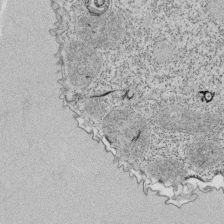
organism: Tetrahymena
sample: Cilia in tetrahymena